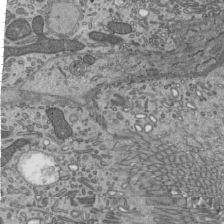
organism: Mouse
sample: Mouse epididymis efferent ductule cilia